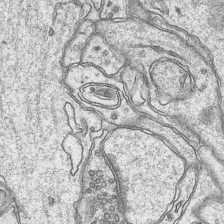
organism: Mouse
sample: CA1 Hippocampus